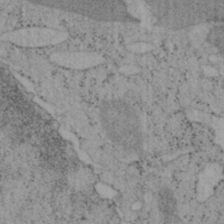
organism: Mouse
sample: OT-I killer T cells with ID8 ovarian cancer cells